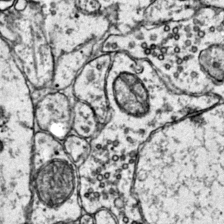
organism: Mouse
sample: Primary visual cortex